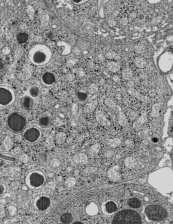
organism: C57BL Mouse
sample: Pancreatic islet